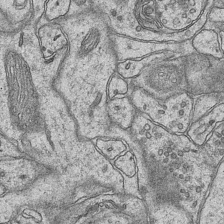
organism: Mouse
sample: CA1 Hippocampus